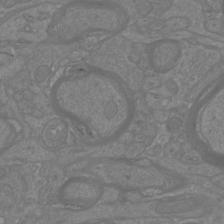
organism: Mouse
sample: Cortical neurons